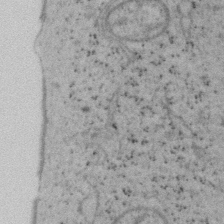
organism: Human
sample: HeLa cells